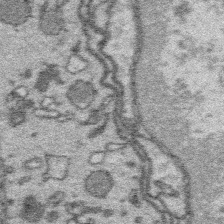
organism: Platynereis dumerilii